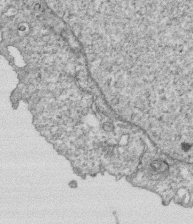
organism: Human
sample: HeLa cell HIV synapse